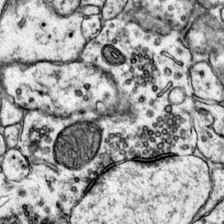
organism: Mouse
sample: Primary visual cortex